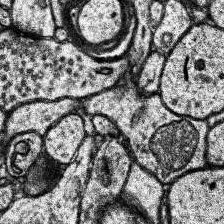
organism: Human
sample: Temporal Lobe